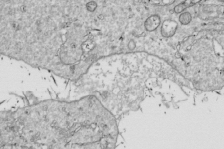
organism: Drosophila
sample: Cell division; meiosis; drosophila spermatocytes